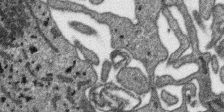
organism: Human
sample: Lung epithelial cells infected with SARS-CoV-2